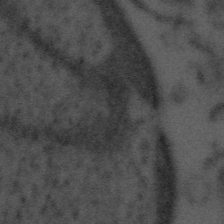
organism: Tuwongella immobilis